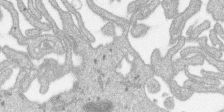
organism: Human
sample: Lung epithelial cells infected with SARS-CoV-2